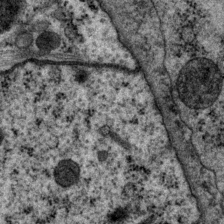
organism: P. pacificus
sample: Pharynx